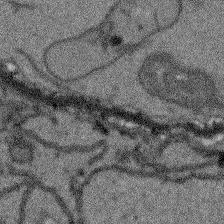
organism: Arabidopsis thaliana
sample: Root tip